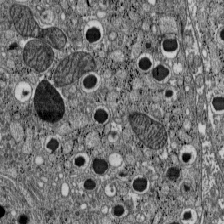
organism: C57BL Mouse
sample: Pancreatic islet